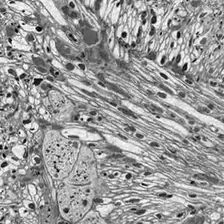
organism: Drosophila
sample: Optic lobe